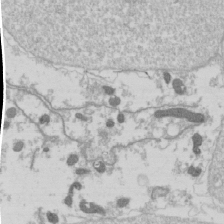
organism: Drosophila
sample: Cell division; meiosis; drosophila spermatocytes